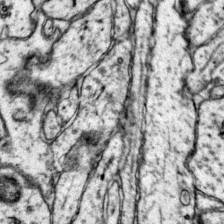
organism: Mouse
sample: Primary visual cortex